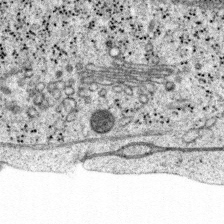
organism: Human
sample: HeLa cells